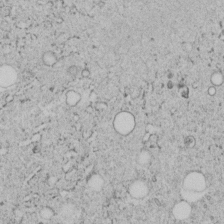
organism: C. elegans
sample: C. elegans embryo early stage